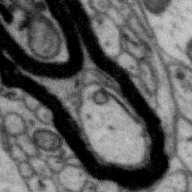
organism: Zebra finch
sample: Brain